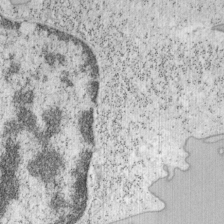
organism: Mouse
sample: OT-I killer T cells with ID8 ovarian cancer cells